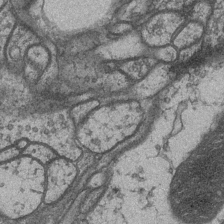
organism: Drosophila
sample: Optic medulla